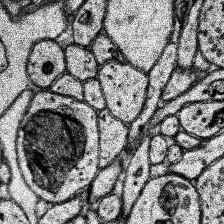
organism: Human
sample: Temporal Lobe